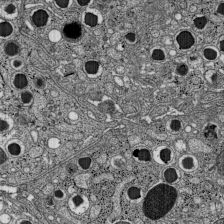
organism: C57BL Mouse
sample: Pancreatic islet